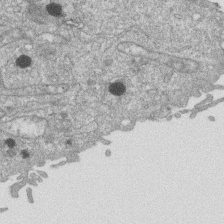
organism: Human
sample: HeLa cell HIV synapse